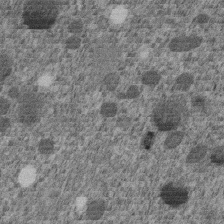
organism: C. elegans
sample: C. elegans embryo early stage